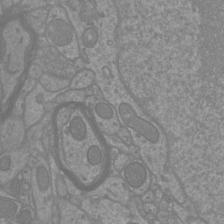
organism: Mouse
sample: Cortical neurons